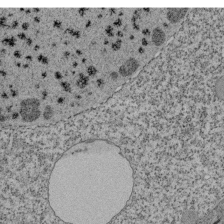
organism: Tetrahymena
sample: Cilia in tetrahymena